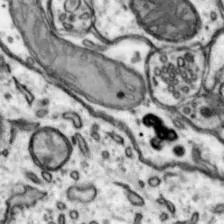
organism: Mouse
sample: Nucleus accumbens